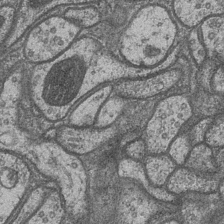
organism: Drosophila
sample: Optic medulla